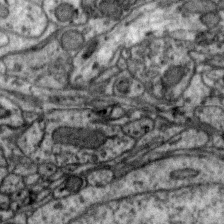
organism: Zebra finch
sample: Brain